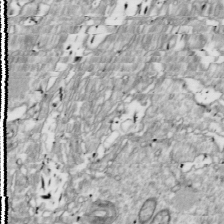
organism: Drosophila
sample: Cell division; meiosis; drosophila spermatocytes